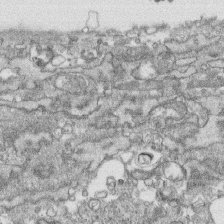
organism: Human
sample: CRL-1474